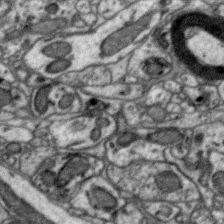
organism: Zebra finch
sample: Brain